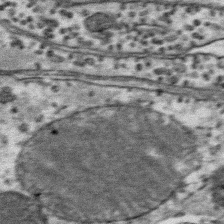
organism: Mouse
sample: Mouse Salivary gland